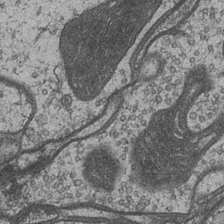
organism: Drosophila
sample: Optic medulla